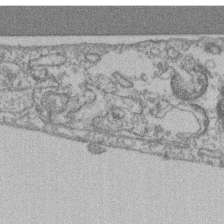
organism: Mouse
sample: T cell stromal cell synapse